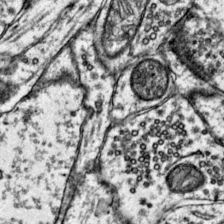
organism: Mouse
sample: Primary visual cortex